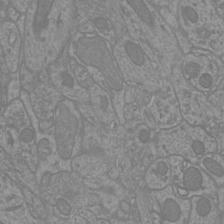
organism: Mouse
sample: Cortical neurons